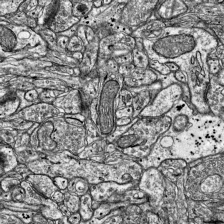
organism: Mouse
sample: Visual Cortex